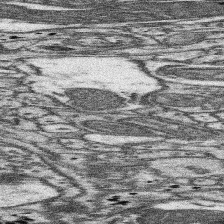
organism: Mouse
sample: Somatosensory cortex neuropil